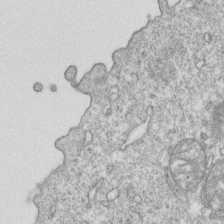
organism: Mouse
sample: Activated OT-1 CD8+ T cells